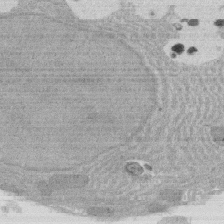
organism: Rat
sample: Salivary granule